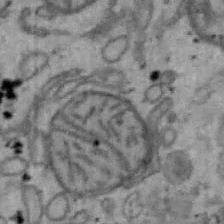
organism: Mouse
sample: Liver